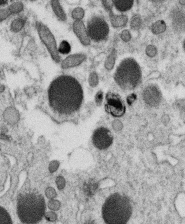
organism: C. elegans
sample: C. elegans oocyte; sperm cells